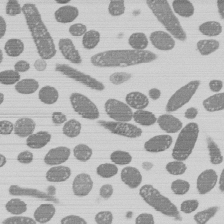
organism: E. coli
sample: Bacterial nucleoid